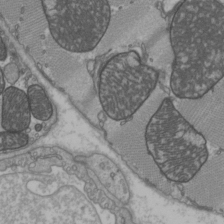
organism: C57BL Mouse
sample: Heart